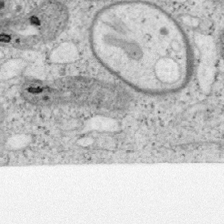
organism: Mouse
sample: OT-I killer T cells with ID8 ovarian cancer cells